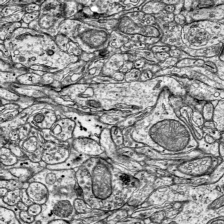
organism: Mouse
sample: Visual Cortex